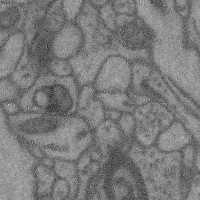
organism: Mouse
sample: Cerebral cortex